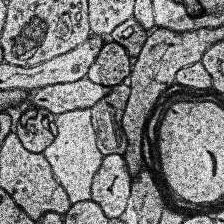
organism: Human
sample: Temporal Lobe